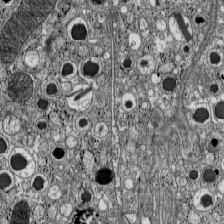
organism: C57BL Mouse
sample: Pancreatic islet